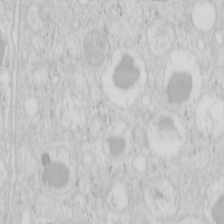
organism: Mouse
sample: Pancreas